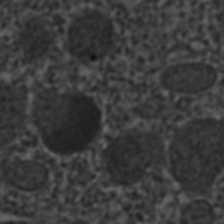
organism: C. elegans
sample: C. elegans embryo